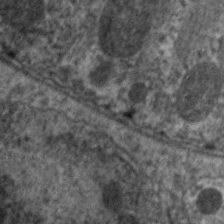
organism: C. elegans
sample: Pharynx